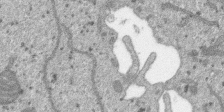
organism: Human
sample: Lung epithelial cells infected with SARS-CoV-2